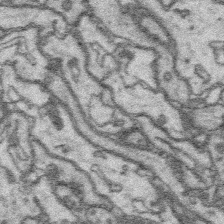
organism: Platynereis dumerilii